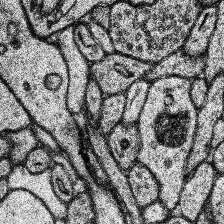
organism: Human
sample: Temporal Lobe